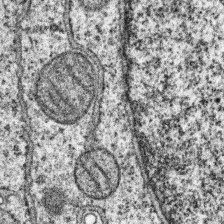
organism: Human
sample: HeLa cells